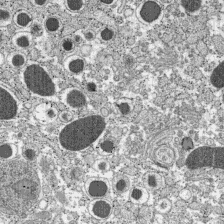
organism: C57BL Mouse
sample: Pancreatic islet